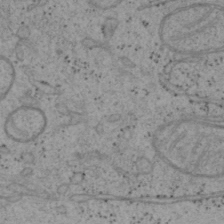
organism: Human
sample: HeLa cells